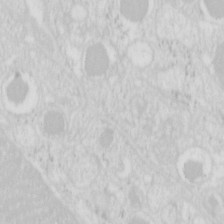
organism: Mouse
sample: Pancreas